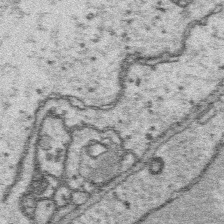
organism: Platynereis dumerilii